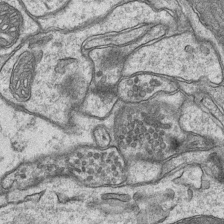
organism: Mouse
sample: CA1 Hippocampus